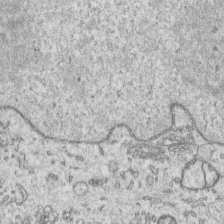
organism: Human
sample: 1205lu cells